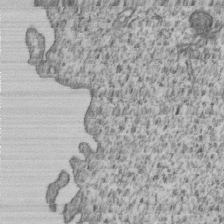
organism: Human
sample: MDA-MB-231 cells